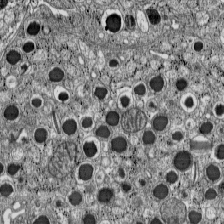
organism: C57BL Mouse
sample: Pancreatic islet